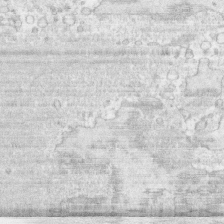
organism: Human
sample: CRL-1474